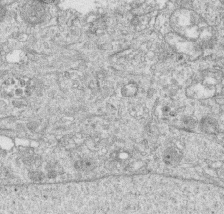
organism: Human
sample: HeLa cell HIV synapse